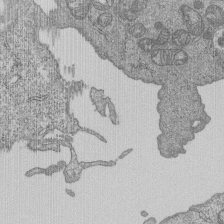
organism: Human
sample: MDA-MB-231 cells